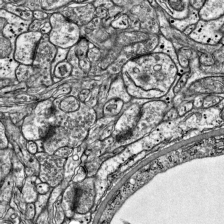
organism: Mouse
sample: Visual Cortex